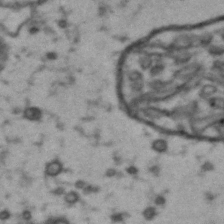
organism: Drosophila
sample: Brain